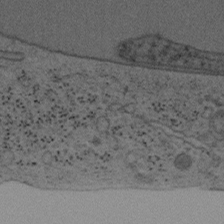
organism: Human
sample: HeLa cells